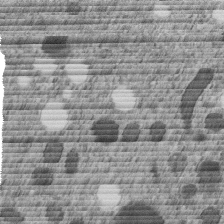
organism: C. elegans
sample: C. elegans embryo early stage